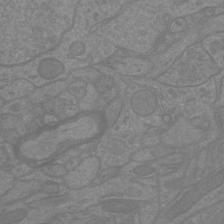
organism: Mouse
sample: Cortical neurons